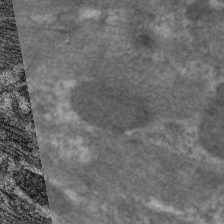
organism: C. elegans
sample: Pharynx